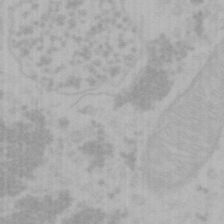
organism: Mouse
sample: Choroid plexus